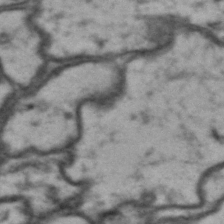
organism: Drosophila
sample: Brain